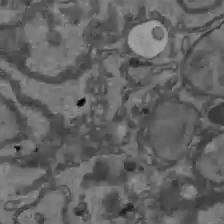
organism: C57BL Mouse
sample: Liver